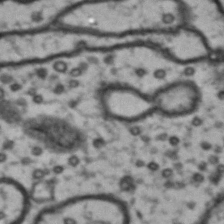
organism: Drosophila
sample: Brain